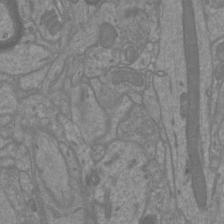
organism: Mouse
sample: Cortical neurons